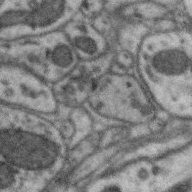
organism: Zebra finch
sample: Brain